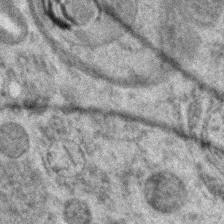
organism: Zebrafish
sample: Zebrafish embryo